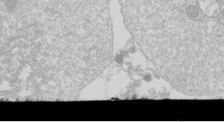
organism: Drosophila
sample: Cell division; meiosis; drosophila spermatocytes